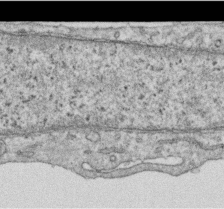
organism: Human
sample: Centriole in RPE cells